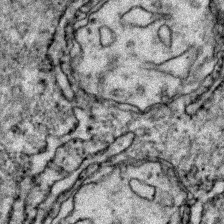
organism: Zebrafish